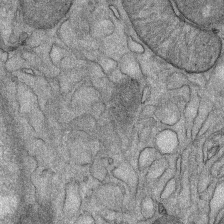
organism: Mouse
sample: Mouse Salivary gland